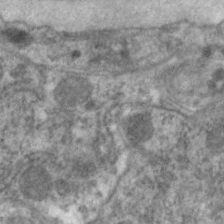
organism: C. elegans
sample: Pharynx